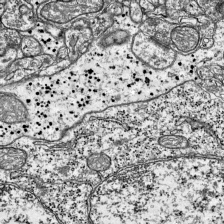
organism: Mouse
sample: Visual Cortex